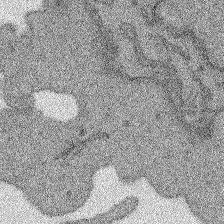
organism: Human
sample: HeLa cells